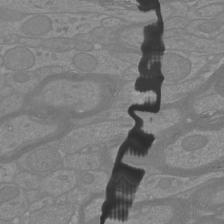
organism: Mouse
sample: Cortical neurons